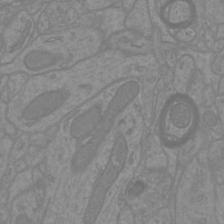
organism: Mouse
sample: Cortical neurons